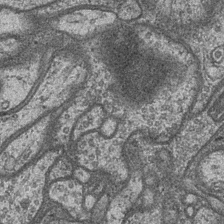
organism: Drosophila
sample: Optic medulla